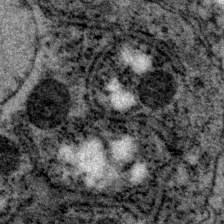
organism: P. pacificus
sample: Pharynx